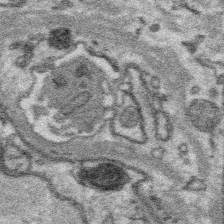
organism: Platynereis dumerilii